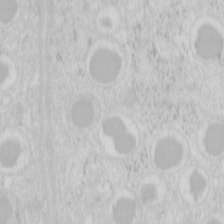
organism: Mouse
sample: Pancreas